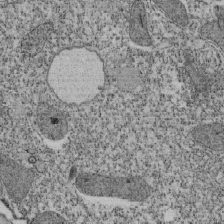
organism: Tetrahymena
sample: Cilia in tetrahymena